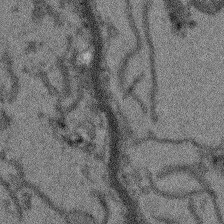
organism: Arabidopsis thaliana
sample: Root tip